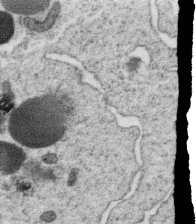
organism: C. elegans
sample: C. elegans oocyte; sperm cells